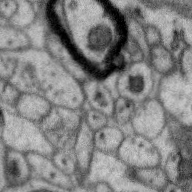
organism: Zebra finch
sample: Brain